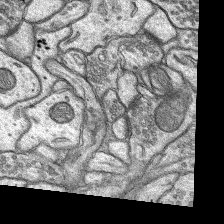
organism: Rat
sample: Hippocampus